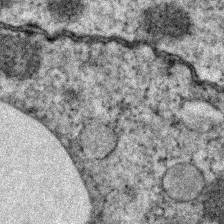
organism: Zebrafish